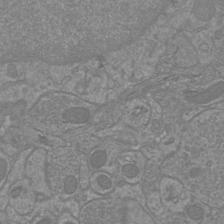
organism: Mouse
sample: Cortical neurons